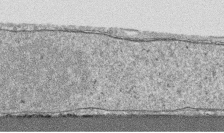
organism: Human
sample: CRL-1474